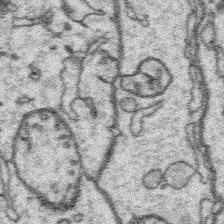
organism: Platynereis dumerilii